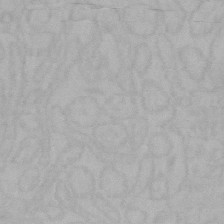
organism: Mouse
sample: Choroid plexus